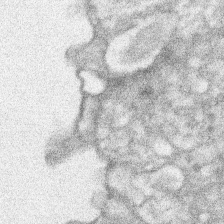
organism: Xenopus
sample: Cilia; centrioles in frog embryo cells